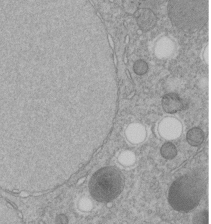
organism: C. elegans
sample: C. elegans embryo early stage